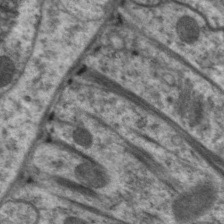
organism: C. elegans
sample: Pharynx